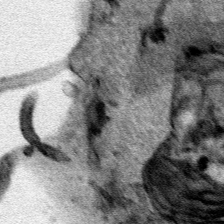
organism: Human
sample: Mitochondria in HCT116 cells